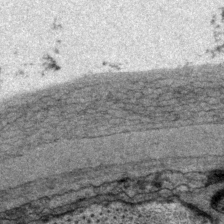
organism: P. pacificus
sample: Pharynx